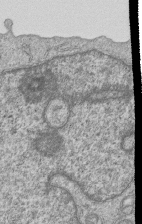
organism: Human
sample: MDA-MB-231 cells